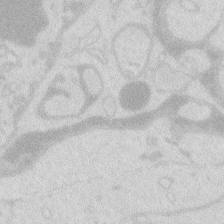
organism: Zebrafish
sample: Macrophage